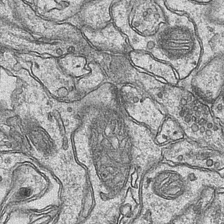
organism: Mouse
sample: CA1 Hippocampus